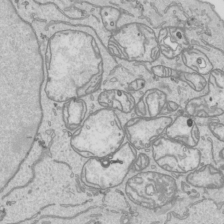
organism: Human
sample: Mitochondria in HCT116 cells